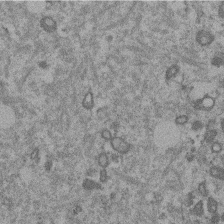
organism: Mouse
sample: Dividing mouse embryo 1 cell stage